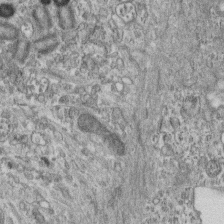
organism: Mouse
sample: Centriole in ependymal cells